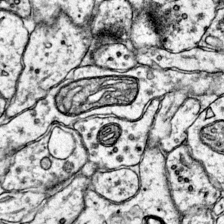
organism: Mouse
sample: Primary visual cortex